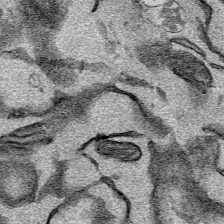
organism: Mouse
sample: Cancer cell death in ED-1 cells